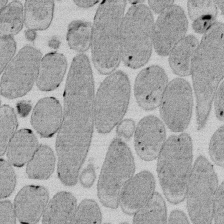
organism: E. coli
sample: Bacterial nucleoid